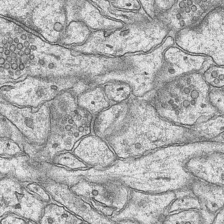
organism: Mouse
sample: CA1 Hippocampus